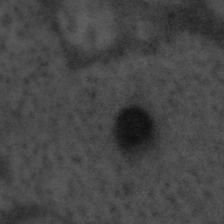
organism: Tuwongella immobilis